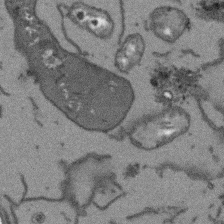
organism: Arabidopsis thaliana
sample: Root tip